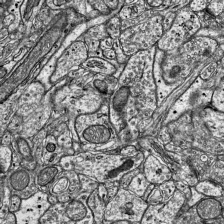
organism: Mouse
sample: Visual Cortex